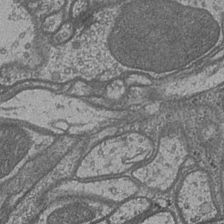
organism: Drosophila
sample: Optic medulla